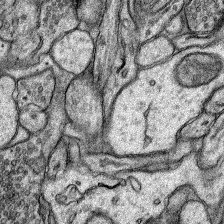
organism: Rat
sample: Hippocampus